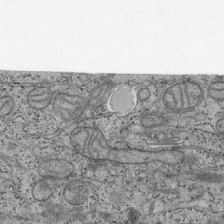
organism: Human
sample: HeLa cells